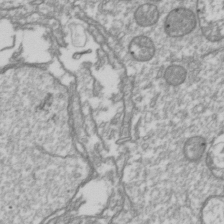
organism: Drosophila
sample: Cell division; meiosis; drosophila spermatocytes